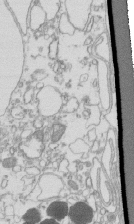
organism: Mouse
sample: Macrophages